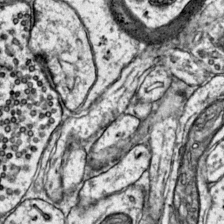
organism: Mouse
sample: Primary visual cortex